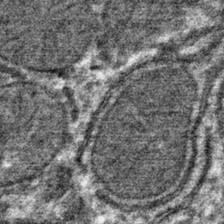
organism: Mouse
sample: Mouse hepatocytes